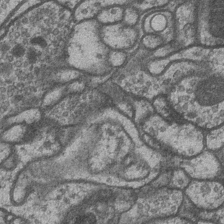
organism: Drosophila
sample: Optic medulla